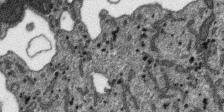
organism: Human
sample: Lung epithelial cells infected with SARS-CoV-2